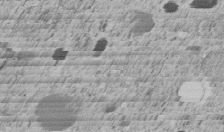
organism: C. elegans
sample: C. elegans embryo early stage